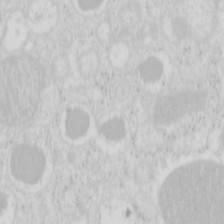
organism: Mouse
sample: Pancreas